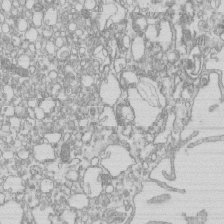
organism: Mouse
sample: Macrophages